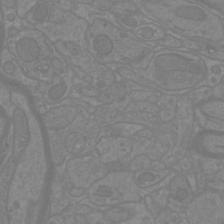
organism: Mouse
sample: Cortical neurons